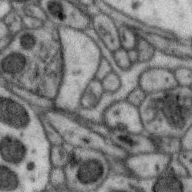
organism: Zebra finch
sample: Brain